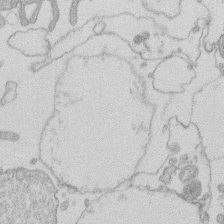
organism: Human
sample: Macrophage cells